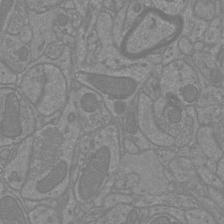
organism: Mouse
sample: Cortical neurons